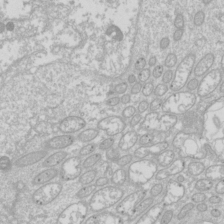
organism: Drosophila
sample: Cell division; meiosis; drosophila spermatocytes